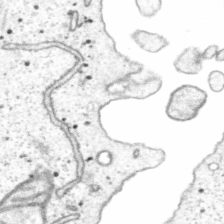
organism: Human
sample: HeLa cells